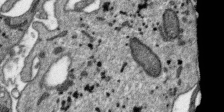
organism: Human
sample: Lung epithelial cells, uninfected (mock) control